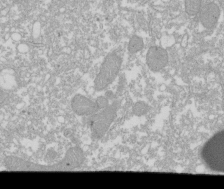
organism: Xenopus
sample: Cilia; centrioles in frog embryo cells